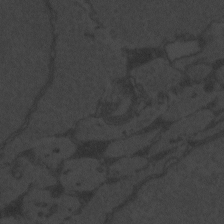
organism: Zebrafish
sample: Macrophage infected with Toxoplasma gondii